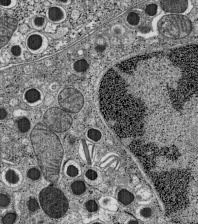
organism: C57BL Mouse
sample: Pancreatic islet